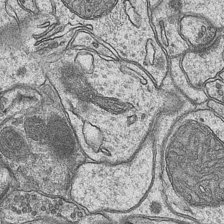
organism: Mouse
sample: CA1 Hippocampus